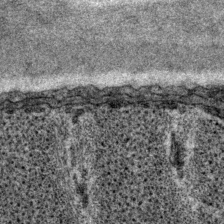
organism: P. pacificus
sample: Pharynx